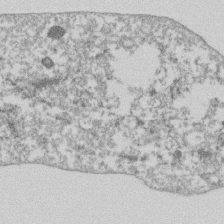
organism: Dictyostelium discoideum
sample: Dictyostelium multivesicular bodies